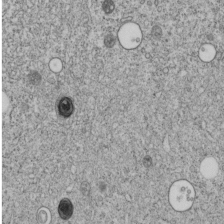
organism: C. elegans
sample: C. elegans embryo early stage